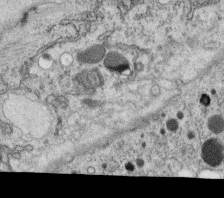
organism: C. elegans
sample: C. elegans oocyte; sperm cells